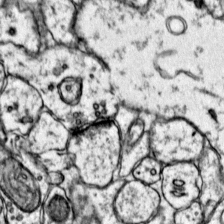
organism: Mouse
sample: Primary visual cortex